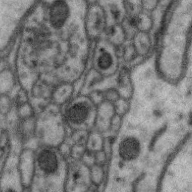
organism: Zebra finch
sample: Brain